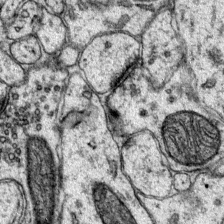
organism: Mouse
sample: Primary visual cortex